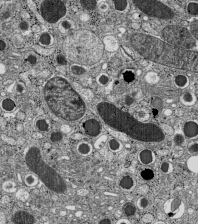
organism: C57BL Mouse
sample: Pancreatic islet